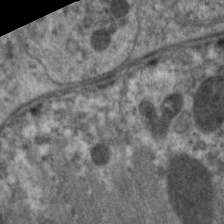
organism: C. elegans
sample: Pharynx